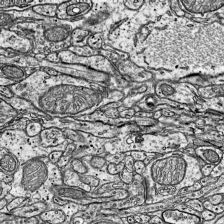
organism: Mouse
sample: Visual Cortex